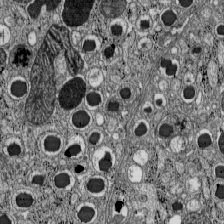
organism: C57BL Mouse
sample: Pancreatic islet